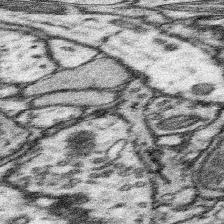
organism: Mouse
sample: Somatosensory cortex neuropil